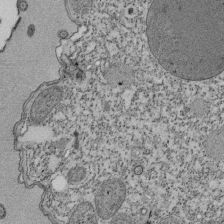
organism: Tetrahymena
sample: Cilia in tetrahymena